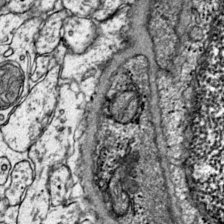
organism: Mouse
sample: Primary visual cortex